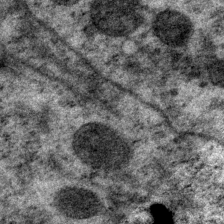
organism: P. pacificus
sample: Pharynx